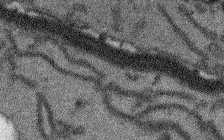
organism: Arabidopsis thaliana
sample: Root tip